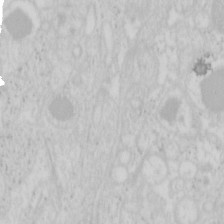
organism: Mouse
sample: Pancreas